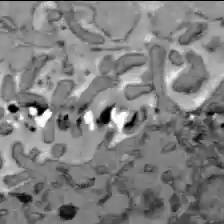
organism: C57BL Mouse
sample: Liver